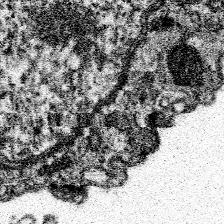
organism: Spongilla lacustris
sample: Neuroid cell